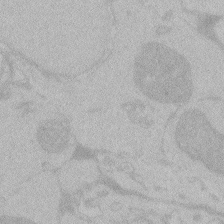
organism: Zebrafish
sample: Macrophage infected with Toxoplasma gondii